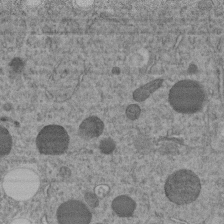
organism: C. elegans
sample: C. elegans embryo early stage